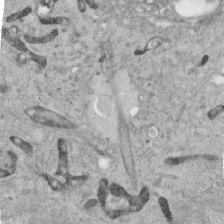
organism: Human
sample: Centriole in RPE cells